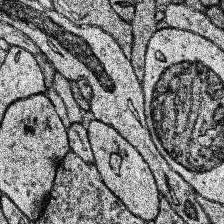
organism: Human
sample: Temporal Lobe